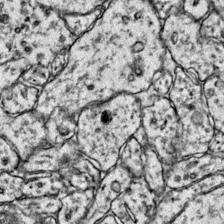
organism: Mouse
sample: Primary visual cortex